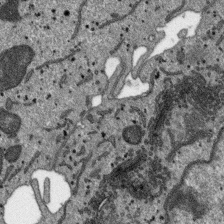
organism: Human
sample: Lung epithelial cells, uninfected (mock) control